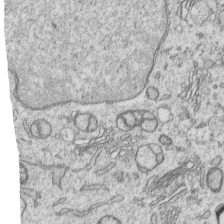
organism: Human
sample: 1205lu cells